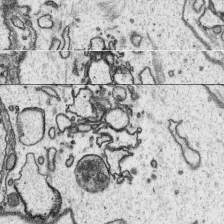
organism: Platynereis dumerilii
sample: Parapodia